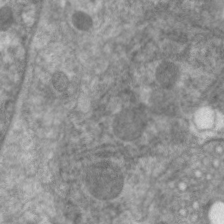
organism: C. elegans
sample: Pharynx